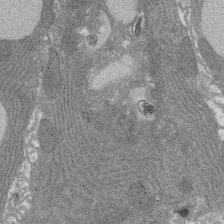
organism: Rat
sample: Salivary granule